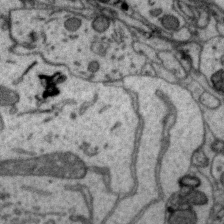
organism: Zebra finch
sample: Brain